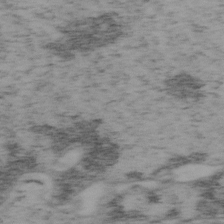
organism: Mouse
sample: OT-I killer T cells with ID8 ovarian cancer cells